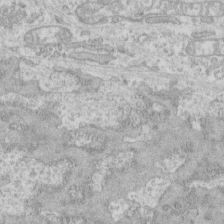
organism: Human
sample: CRL-1474